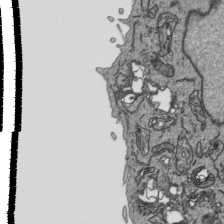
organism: Human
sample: Mitochondria in HCT116 cells